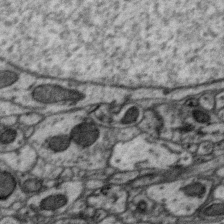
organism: Zebra finch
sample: Brain